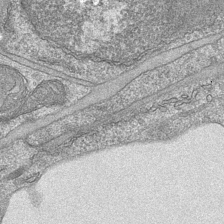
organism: Mouse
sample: CA1 Hippocampus